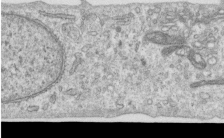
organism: Human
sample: Centriole in RPE cells